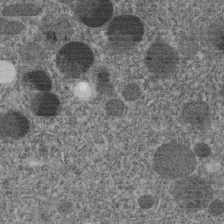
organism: C. elegans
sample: C. elegans embryo early stage